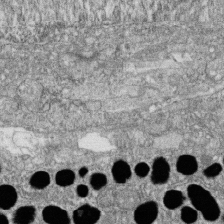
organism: Zebrafish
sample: Cilia; retinal pigment epithelium